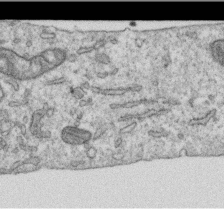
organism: Human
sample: Centriole in RPE cells